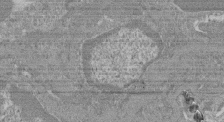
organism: Mouse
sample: Glomerulus